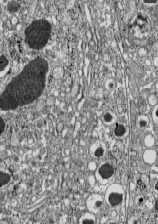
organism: C57BL Mouse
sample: Pancreatic islet